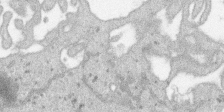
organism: Human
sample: Lung epithelial cells infected with SARS-CoV-2